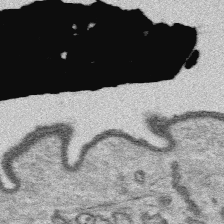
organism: Platynereis dumerilii